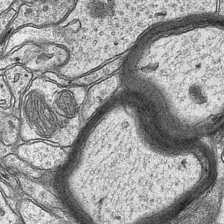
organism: Mouse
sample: CA1 Hippocampus